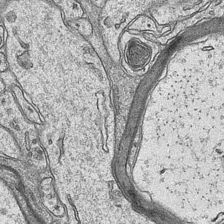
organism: Mouse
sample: CA1 Hippocampus